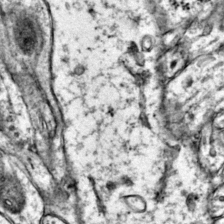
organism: Mouse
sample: Primary visual cortex